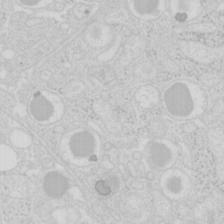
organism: Mouse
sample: Pancreas